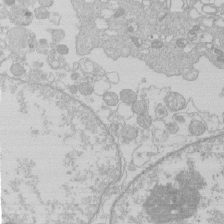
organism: Human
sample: Macrophage cells